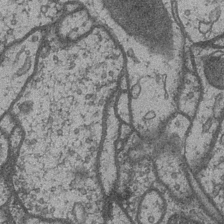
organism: Drosophila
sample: Optic medulla